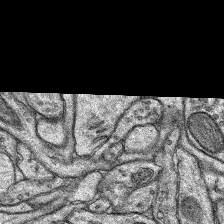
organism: Rat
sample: Hippocampus